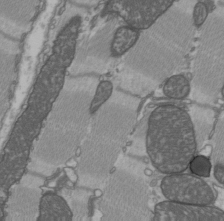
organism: C57BL Mouse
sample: Heart